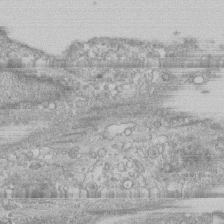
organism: Human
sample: CRL-1474